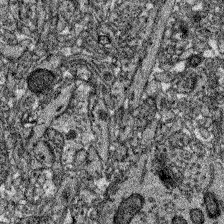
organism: Zebrafish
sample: Larval olfactory bulb